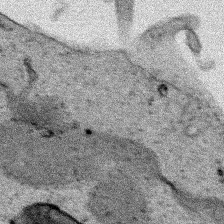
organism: Human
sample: Mitochondria in HCT116 cells